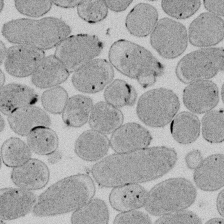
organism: E. coli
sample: Bacterial nucleoid